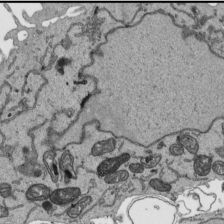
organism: Human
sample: Mitochondria in HCT116 cells